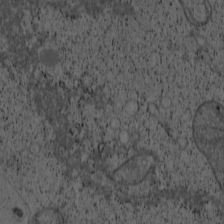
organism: African green monkey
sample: COS-7 cells